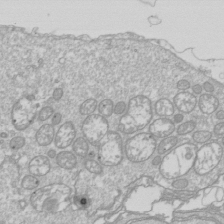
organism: Drosophila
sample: Cell division; meiosis; drosophila spermatocytes